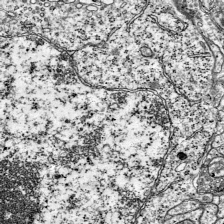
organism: Mouse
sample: Visual Cortex